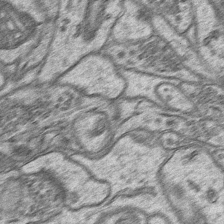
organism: Mouse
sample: CA1 Hippocampus